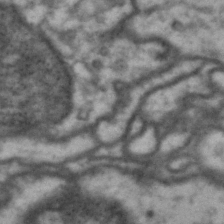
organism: Drosophila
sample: Brain